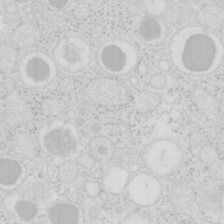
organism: Mouse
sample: Pancreas